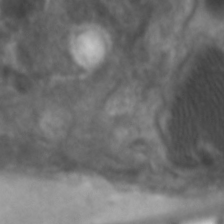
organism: C. elegans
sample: Pharynx